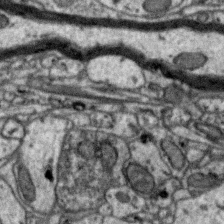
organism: Zebra finch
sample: Brain